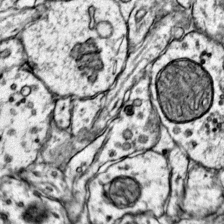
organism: Mouse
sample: Primary visual cortex